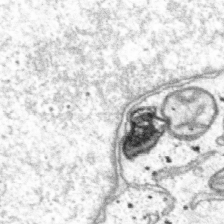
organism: Human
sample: HeLa cells